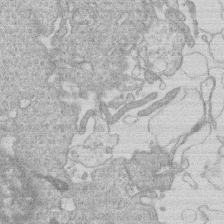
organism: Human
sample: Macrophage cells